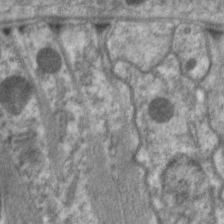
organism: C. elegans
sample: Pharynx